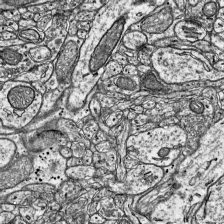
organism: Mouse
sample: Visual Cortex